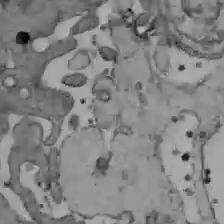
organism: C57BL Mouse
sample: Liver